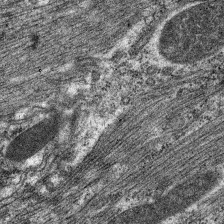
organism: C. elegans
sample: Pharynx